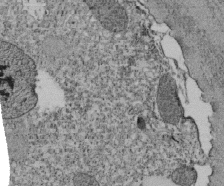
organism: Tetrahymena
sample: Cilia in tetrahymena